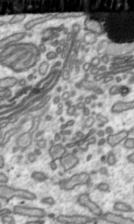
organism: Toxoplasma gondii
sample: Parasites in a vacuole inside a host cell